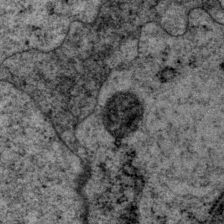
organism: P. pacificus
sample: Pharynx